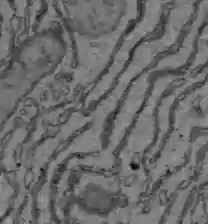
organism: C57BL Mouse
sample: Liver